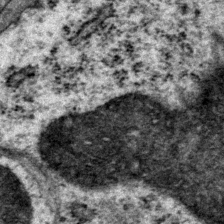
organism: P. pacificus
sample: Pharynx